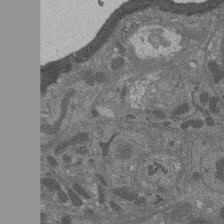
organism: Drosophila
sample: Antenna